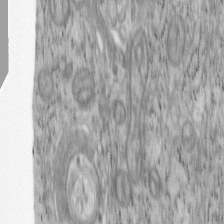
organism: Human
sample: HeLa cells